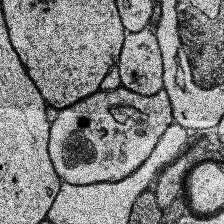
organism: Human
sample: Temporal Lobe